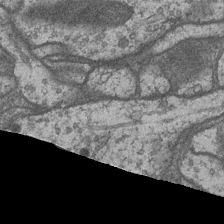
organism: Drosophila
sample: Optic medulla